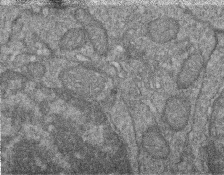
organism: Zebrafish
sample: Cilia; retinal pigment epithelium